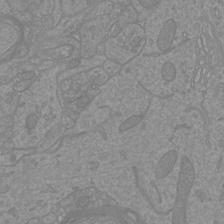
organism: Mouse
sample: Cortical neurons